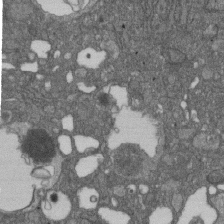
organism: Drosophila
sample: Nephrocyte